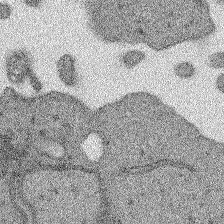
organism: Human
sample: HeLa cells